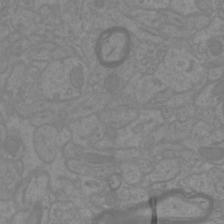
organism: Mouse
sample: Cortical neurons